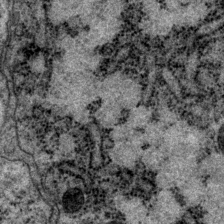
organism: P. pacificus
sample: Pharynx